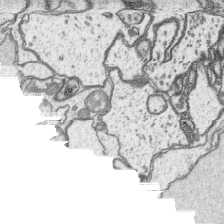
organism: Platynereis dumerilii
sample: Parapodia